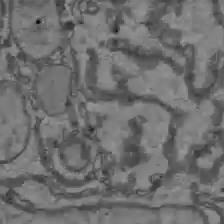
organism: C57BL Mouse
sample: Liver